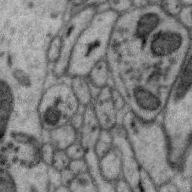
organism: Zebra finch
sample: Brain